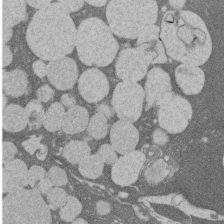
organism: Rat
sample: Salivary granule